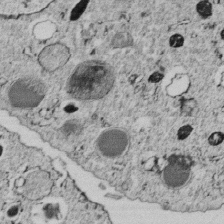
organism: C. elegans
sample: C. elegans embryo early stage